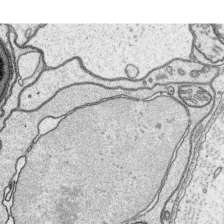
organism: Platynereis dumerilii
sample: Parapodia